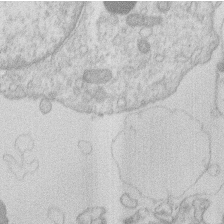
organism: Human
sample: Macrophage cells